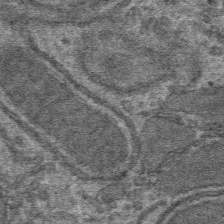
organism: Mouse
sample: Mouse hepatocytes